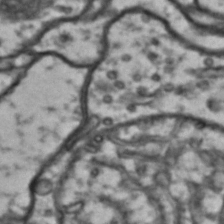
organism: Drosophila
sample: Brain